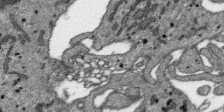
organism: Human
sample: Lung epithelial cells, uninfected (mock) control